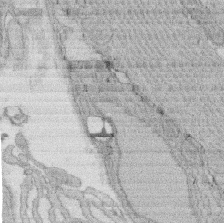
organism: Rat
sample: Salivary granule